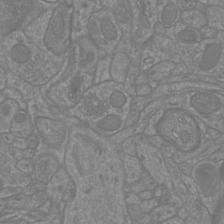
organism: Mouse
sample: Cortical neurons